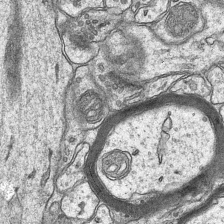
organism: Mouse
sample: CA1 Hippocampus